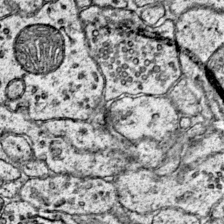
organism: Mouse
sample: Primary visual cortex